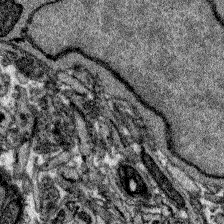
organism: Zebrafish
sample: Larval olfactory bulb